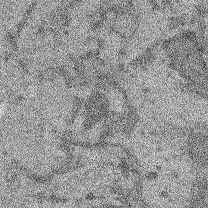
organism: Human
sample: HeLa cells